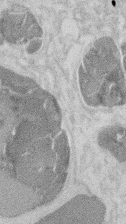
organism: Mouse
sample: T cell stromal cell synapse